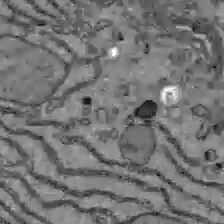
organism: C57BL Mouse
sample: Liver